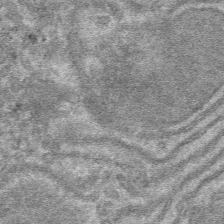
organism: Mouse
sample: Mouse hepatocytes